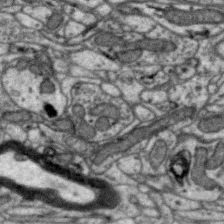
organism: Zebra finch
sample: Brain